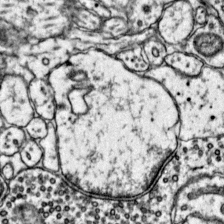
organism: Mouse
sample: Primary visual cortex